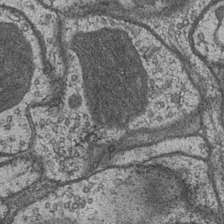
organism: Drosophila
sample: Optic medulla